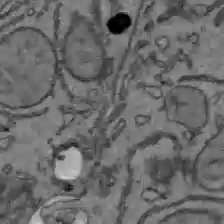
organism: C57BL Mouse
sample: Liver